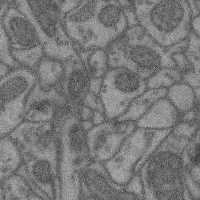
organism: Mouse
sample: Cerebral cortex